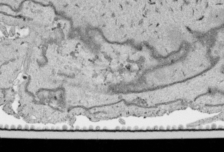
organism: Human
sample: Mitochondria in HCT116 cells